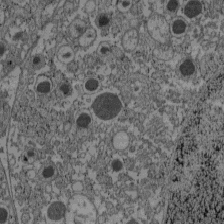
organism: C57BL Mouse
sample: Pancreatic islet